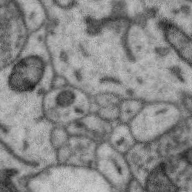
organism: Zebra finch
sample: Brain